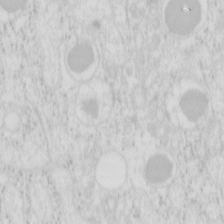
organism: Mouse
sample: Pancreas